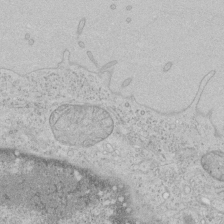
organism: Human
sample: Mitochondria in HCT116 cells